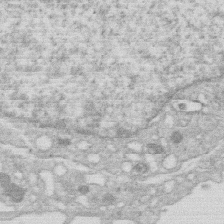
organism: Human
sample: Macrophage cells